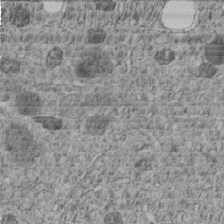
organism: C. elegans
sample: C. elegans embryo early stage